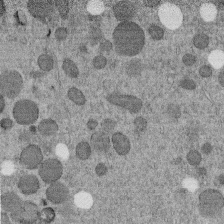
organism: C. elegans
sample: C. elegans embryo early stage